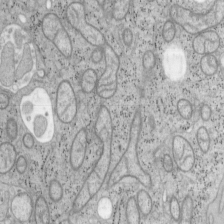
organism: Mouse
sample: OT-I killer T cells with ID8 ovarian cancer cells